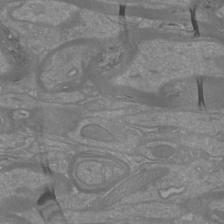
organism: Mouse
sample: Cortical neurons